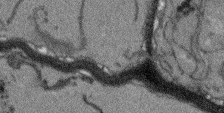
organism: Arabidopsis thaliana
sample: Root tip